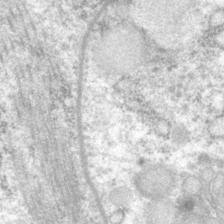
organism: P. pacificus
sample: Pharynx